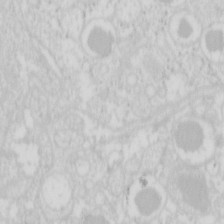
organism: Mouse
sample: Pancreas